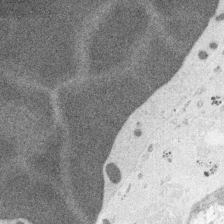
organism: Embia sp.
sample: Silk gland